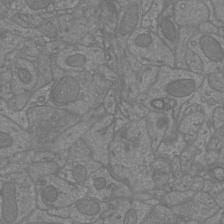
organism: Mouse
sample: Cortical neurons